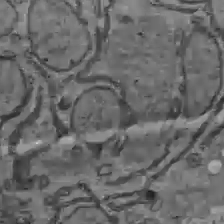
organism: C57BL Mouse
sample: Liver